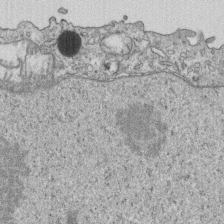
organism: Human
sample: HeLa cell HIV synapse